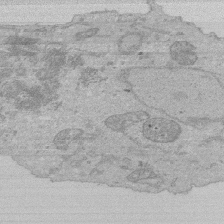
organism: Human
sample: Activated Jurkat CD4+ T cells